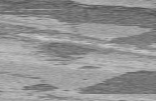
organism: C57BL Mouse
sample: Heart